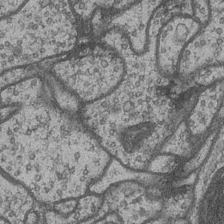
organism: Drosophila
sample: Optic medulla